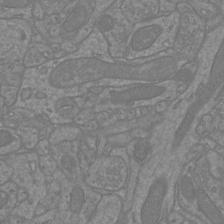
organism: Mouse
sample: Cortical neurons